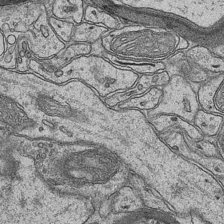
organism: Mouse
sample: CA1 Hippocampus